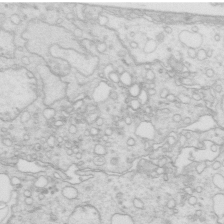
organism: Mouse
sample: Multiciliated cells